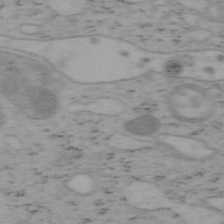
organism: Mouse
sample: OT-I killer T cells with ID8 ovarian cancer cells